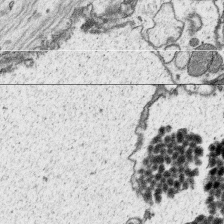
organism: Platynereis dumerilii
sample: Parapodia